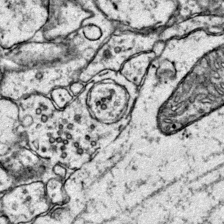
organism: Mouse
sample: Primary visual cortex